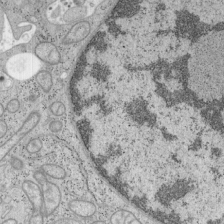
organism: Mouse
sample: OT-I killer T cells with ID8 ovarian cancer cells